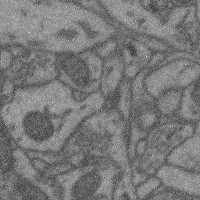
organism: Mouse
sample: Cerebral cortex